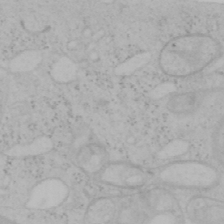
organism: Mouse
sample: OT-I killer T cells with ID8 ovarian cancer cells